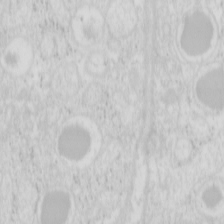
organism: Mouse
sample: Pancreas